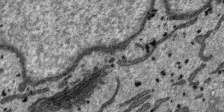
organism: Human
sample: Lung epithelial cells, uninfected (mock) control